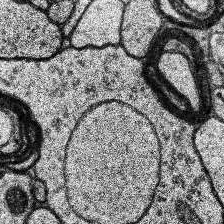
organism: Human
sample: Temporal Lobe